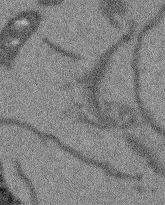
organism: Arabidopsis thaliana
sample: Root tip